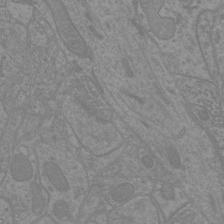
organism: Mouse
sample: Cortical neurons